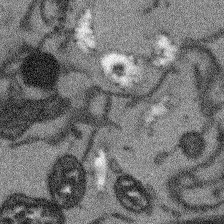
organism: Arabidopsis thaliana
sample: Root tip